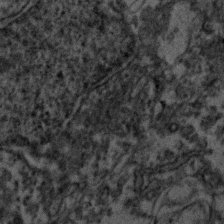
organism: Zebrafish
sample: Zebrafish embryo